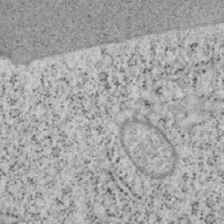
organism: Mouse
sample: OT-I killer T cells with ID8 ovarian cancer cells